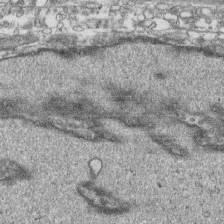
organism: Human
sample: CRL-1474